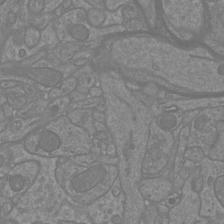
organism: Mouse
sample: Cortical neurons